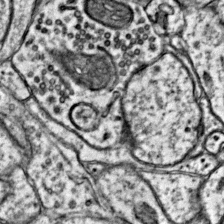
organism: Mouse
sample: Primary visual cortex